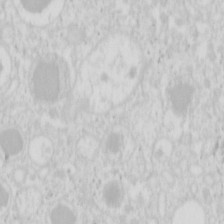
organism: Mouse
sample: Pancreas